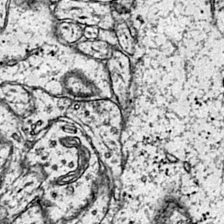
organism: Mouse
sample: Primary visual cortex